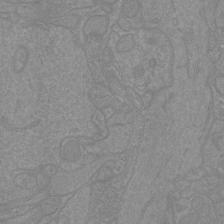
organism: Mouse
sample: Cortical neurons